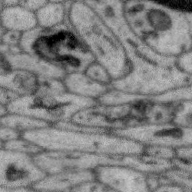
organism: Zebra finch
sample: Brain